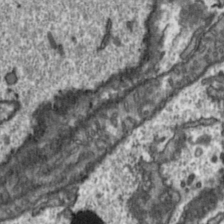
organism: Toxoplasma gondii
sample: Parasites in a vacuole inside a host cell